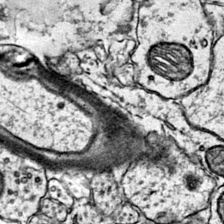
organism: Mouse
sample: Primary visual cortex